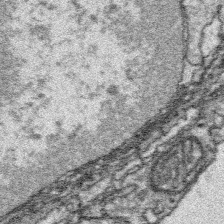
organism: Platynereis dumerilii